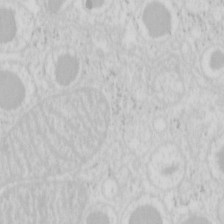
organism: Mouse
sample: Pancreas